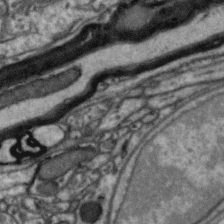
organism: Zebra finch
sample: Brain